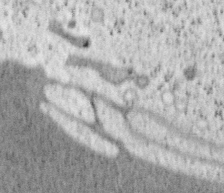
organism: Mouse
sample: OT-I killer T cells with ID8 ovarian cancer cells